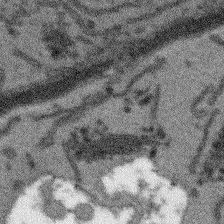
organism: Arabidopsis thaliana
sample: Root tip